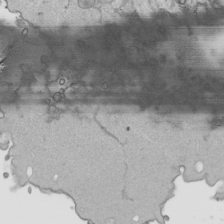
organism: Human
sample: Mitochondria in HCT116 cells